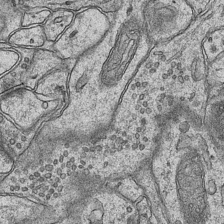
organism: Mouse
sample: CA1 Hippocampus